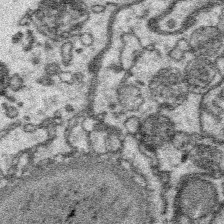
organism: Platynereis dumerilii